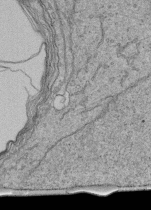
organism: Human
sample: Retinal organoid Rod and Cone cells